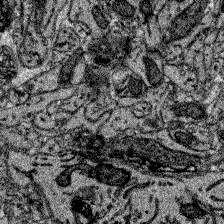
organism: Zebrafish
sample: Larval olfactory bulb